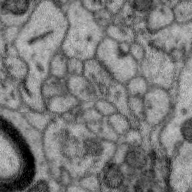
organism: Zebra finch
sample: Brain